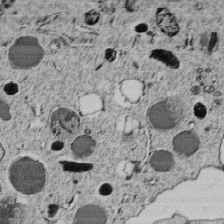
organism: C. elegans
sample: C. elegans embryo early stage